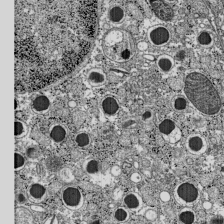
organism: C57BL Mouse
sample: Pancreatic islet